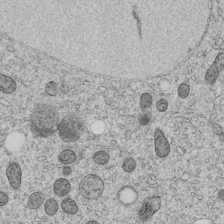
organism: C. elegans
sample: C. elegans embryo early stage